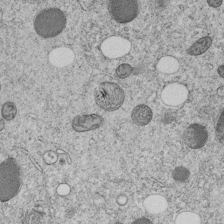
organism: C. elegans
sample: C. elegans embryo early stage